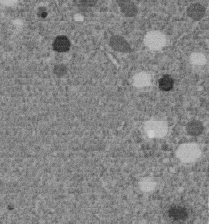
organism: C. elegans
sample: C. elegans embryo early stage